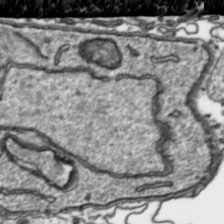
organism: Toxoplasma gondii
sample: Parasites in a vacuole inside a host cell